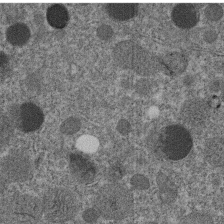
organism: C. elegans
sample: C. elegans embryo early stage